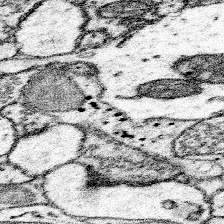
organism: Mouse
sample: Somatosensory cortex neuropil